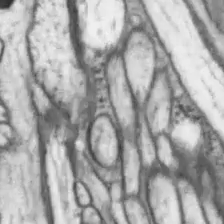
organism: Drosophila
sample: Optic lobe